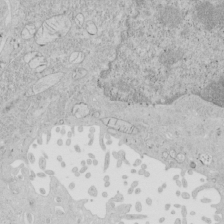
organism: Human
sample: Mitochondria in HCT116 cells